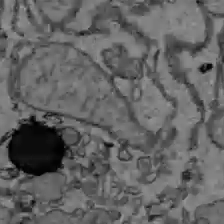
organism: C57BL Mouse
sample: Liver